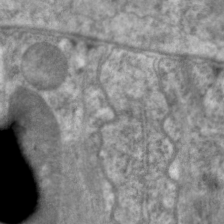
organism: C. elegans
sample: Pharynx